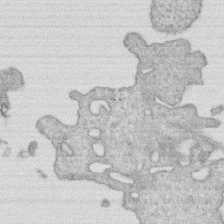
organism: Human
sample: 1205lu cells